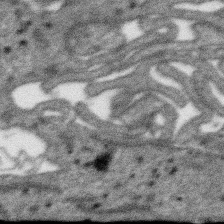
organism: Human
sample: Lung epithelial cells infected with SARS-CoV-2